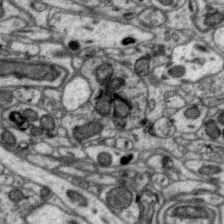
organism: Zebra finch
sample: Brain